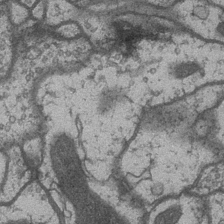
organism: Drosophila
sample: Optic medulla